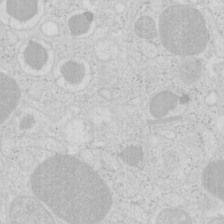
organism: Mouse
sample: Pancreas